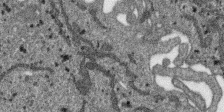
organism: Human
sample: Lung epithelial cells infected with SARS-CoV-2